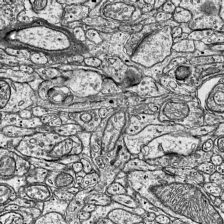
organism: Mouse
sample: Visual Cortex